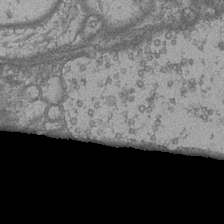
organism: Drosophila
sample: Optic medulla